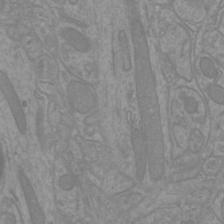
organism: Mouse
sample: Cortical neurons